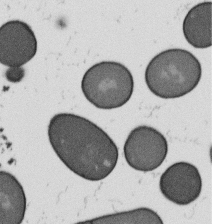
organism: B. subtilis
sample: Bacterial spore